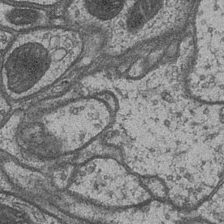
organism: Drosophila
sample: Optic medulla